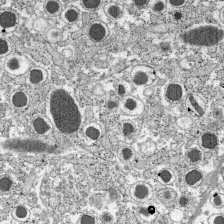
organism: C57BL Mouse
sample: Pancreatic islet